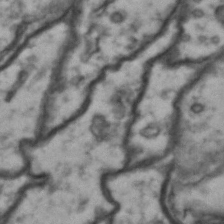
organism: Drosophila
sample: Brain